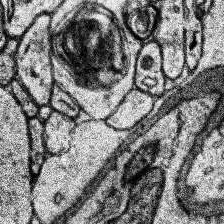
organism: Human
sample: Temporal Lobe